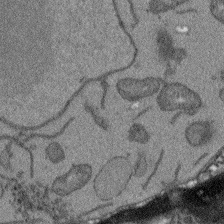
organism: Arabidopsis thaliana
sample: Root tip